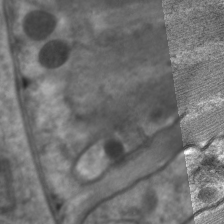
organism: C. elegans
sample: Pharynx